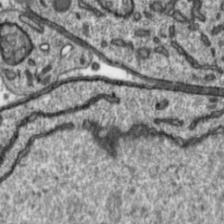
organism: Toxoplasma gondii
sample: Parasites in a vacuole inside a host cell